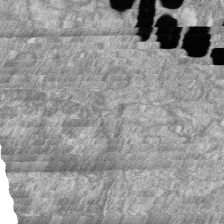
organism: Zebrafish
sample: Cilia; retinal pigment epithelium